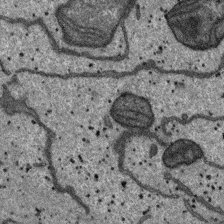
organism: Human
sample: Lung epithelial cells, uninfected (mock) control